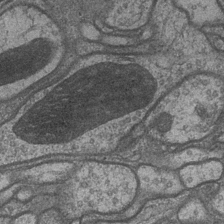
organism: Drosophila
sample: Optic medulla